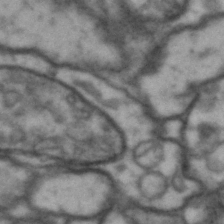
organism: Drosophila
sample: Brain